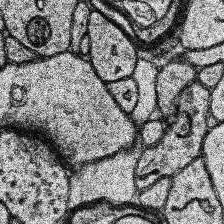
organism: Human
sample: Temporal Lobe